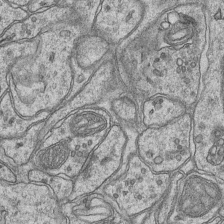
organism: Mouse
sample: CA1 Hippocampus